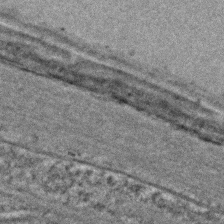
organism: C. elegans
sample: C. elegans embryo